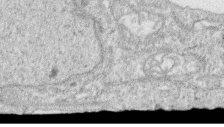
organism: Human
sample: HeLa cell HIV synapse